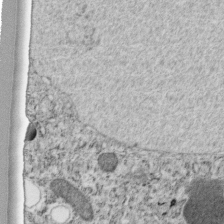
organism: C. elegans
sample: C. elegans embryo early stage